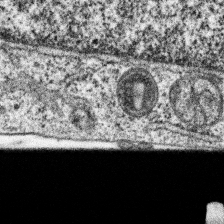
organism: Human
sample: HeLa cells